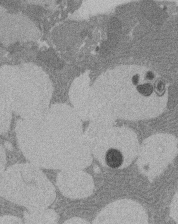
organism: Rat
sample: Salivary granule